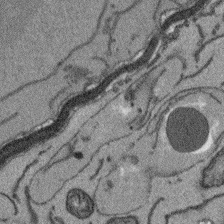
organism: Arabidopsis thaliana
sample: Root tip